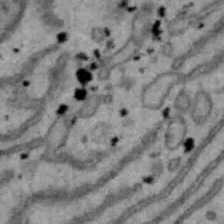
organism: Mouse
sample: Liver